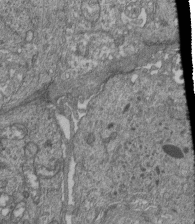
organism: Human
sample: Retinal organoid Rod and Cone cells